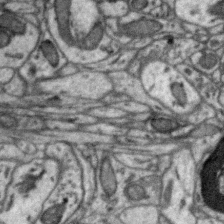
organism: Zebra finch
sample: Brain